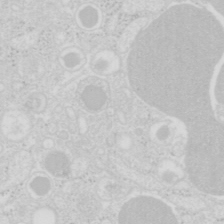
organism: Mouse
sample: Pancreas